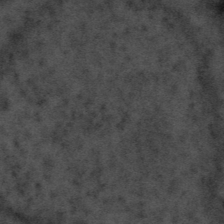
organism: Tuwongella immobilis